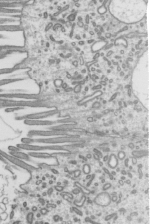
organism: Mouse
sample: Mouse epididymis efferent ductule cilia